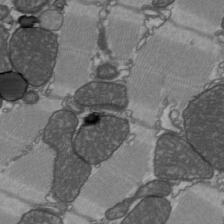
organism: C57BL Mouse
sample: Heart